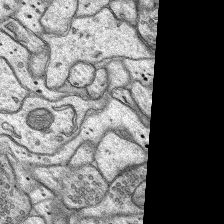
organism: Rat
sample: Hippocampus